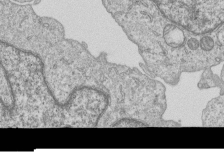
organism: Human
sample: MDA-MB-231 cells